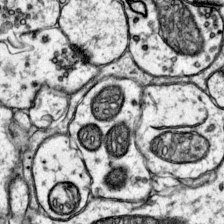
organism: Mouse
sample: Primary visual cortex